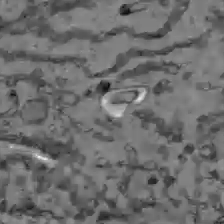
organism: C57BL Mouse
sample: Liver